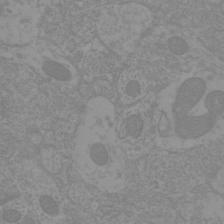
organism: Mouse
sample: Cortical neurons